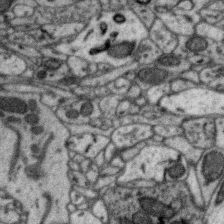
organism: Zebra finch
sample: Brain